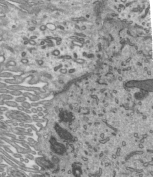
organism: Mouse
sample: Mouse epididymis efferent ductule cilia